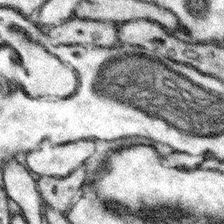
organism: Mouse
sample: Somatosensory cortex neuropil